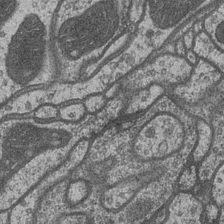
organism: Drosophila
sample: Optic medulla